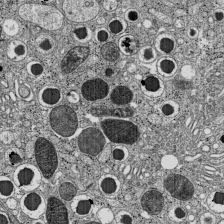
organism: C57BL Mouse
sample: Pancreatic islet